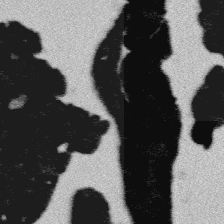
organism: Platynereis dumerilii